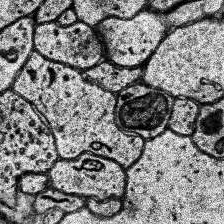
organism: Human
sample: Temporal Lobe